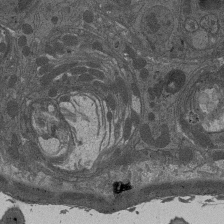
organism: Drosophila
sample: Antenna